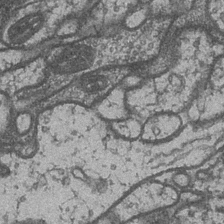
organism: Drosophila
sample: Optic medulla